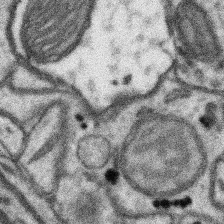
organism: Mouse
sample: Somatosensory cortex neuropil